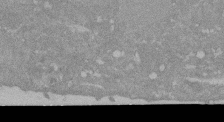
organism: Mouse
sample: ED-1 cell nuclei; centrioles